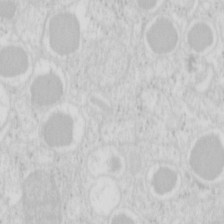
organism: Mouse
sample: Pancreas